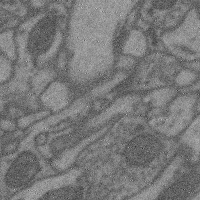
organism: Mouse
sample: Cerebral cortex